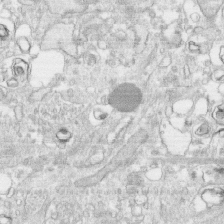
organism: Human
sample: CRL-1474